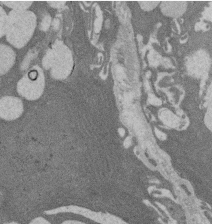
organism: Rat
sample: Salivary granule